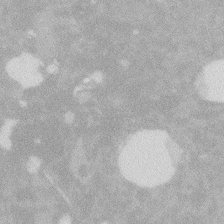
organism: Zebrafish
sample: Macrophage